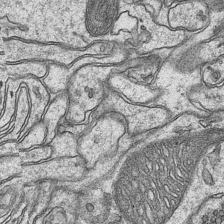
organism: Mouse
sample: CA1 Hippocampus